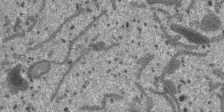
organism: Human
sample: Lung epithelial cells infected with SARS-CoV-2